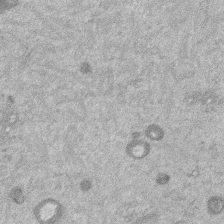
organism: Mouse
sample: Dividing mouse embryo 1 cell stage